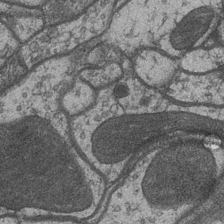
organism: Drosophila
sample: Optic medulla